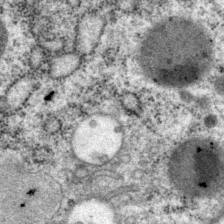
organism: P. pacificus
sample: Pharynx